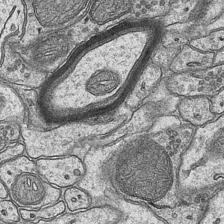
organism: Mouse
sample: CA1 Hippocampus